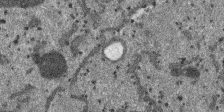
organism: Human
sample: Lung epithelial cells infected with SARS-CoV-2